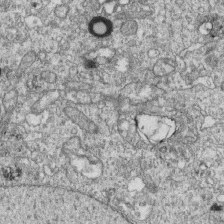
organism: Human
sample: HeLa cell HIV synapse